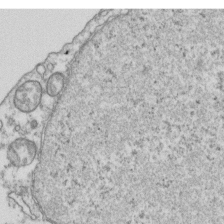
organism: Human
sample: Activated Jurkat CD4+ T cells